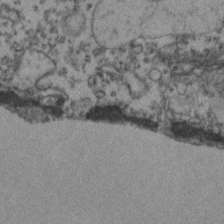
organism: Zebrafish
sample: Zebrafish embryo